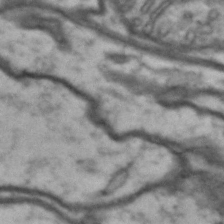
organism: Drosophila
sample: Brain